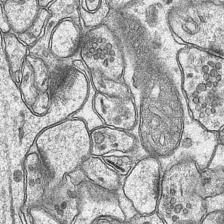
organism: Mouse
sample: CA1 Hippocampus